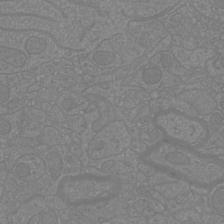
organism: Mouse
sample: Cortical neurons